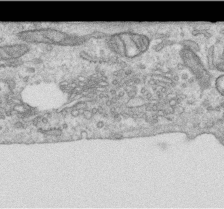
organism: Human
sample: Centriole in RPE cells